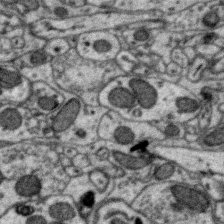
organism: Zebra finch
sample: Brain